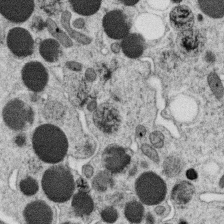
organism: C. elegans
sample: C. elegans oocyte; sperm cells